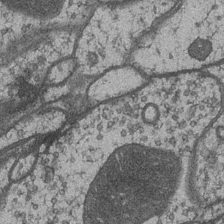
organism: Drosophila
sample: Optic medulla